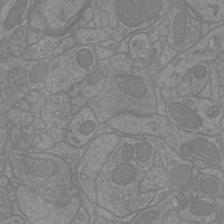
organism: Mouse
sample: Cortical neurons